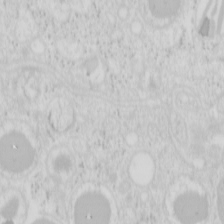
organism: Mouse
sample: Pancreas